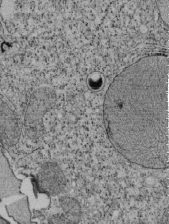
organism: Tetrahymena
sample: Cilia in tetrahymena